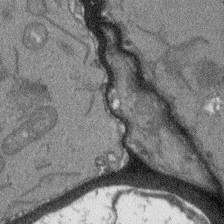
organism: Arabidopsis thaliana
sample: Root tip